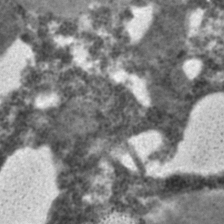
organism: C. elegans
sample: C. elegans embryo